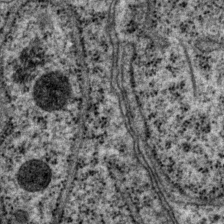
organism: P. pacificus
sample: Pharynx